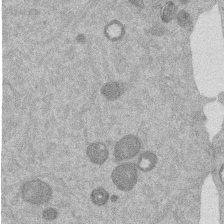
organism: Mouse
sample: Dividing mouse embryo 1 cell stage